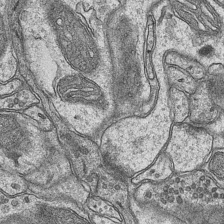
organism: Mouse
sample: CA1 Hippocampus